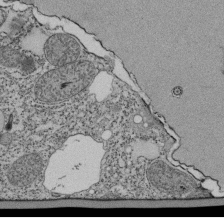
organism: Tetrahymena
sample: Cilia in tetrahymena